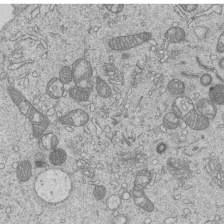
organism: Human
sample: MDA-MB-231 cells